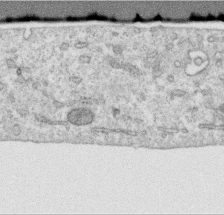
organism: Human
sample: Centriole in RPE cells